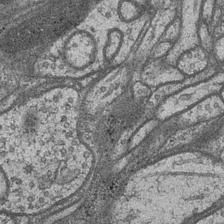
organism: Drosophila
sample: Optic medulla